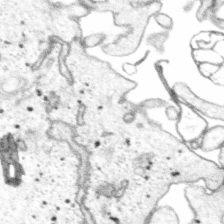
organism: Human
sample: HeLa cells